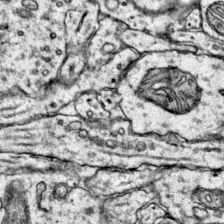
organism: Mouse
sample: Primary visual cortex